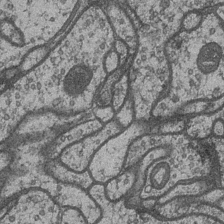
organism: Drosophila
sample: Optic medulla